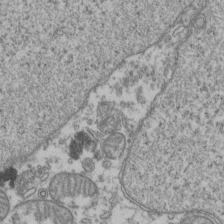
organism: Human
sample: Activated Jurkat CD4+ T cells